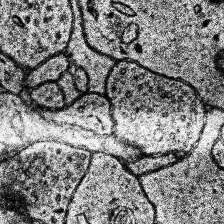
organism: Human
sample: Temporal Lobe